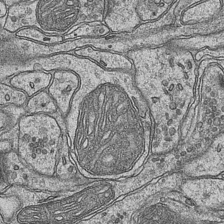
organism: Mouse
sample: CA1 Hippocampus